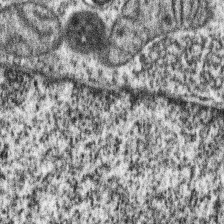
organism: Human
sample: HeLa cells